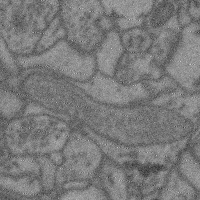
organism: Mouse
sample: Cerebral cortex